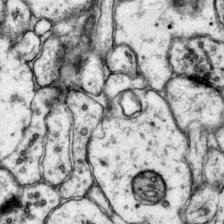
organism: Mouse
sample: Primary visual cortex